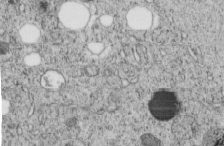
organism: C. elegans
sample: C. elegans embryo early stage